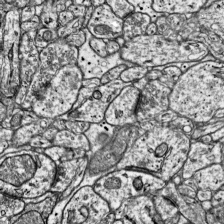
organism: Mouse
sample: Visual Cortex